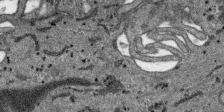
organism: Human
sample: Lung epithelial cells, uninfected (mock) control